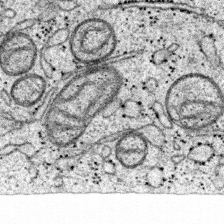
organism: Human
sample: HeLa cells